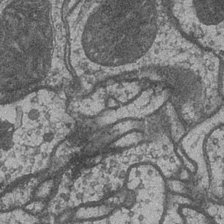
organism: Drosophila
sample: Optic medulla